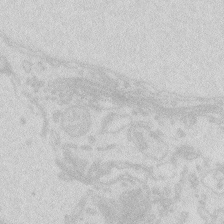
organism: Zebrafish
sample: Macrophage